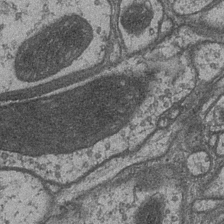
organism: Drosophila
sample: Optic medulla